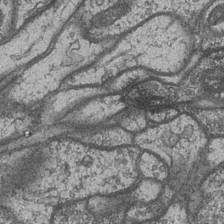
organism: Drosophila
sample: Optic medulla